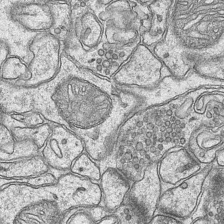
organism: Mouse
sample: CA1 Hippocampus